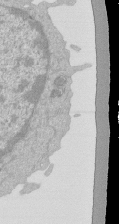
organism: Mouse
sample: Activated Pmel transgenic CD8+ T Cells